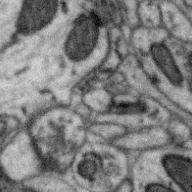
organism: Zebra finch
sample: Brain